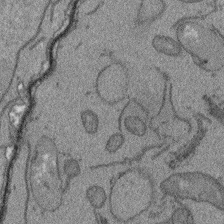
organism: Arabidopsis thaliana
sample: Root tip